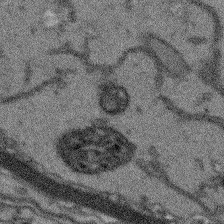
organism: Arabidopsis thaliana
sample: Root tip